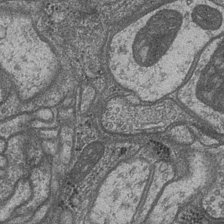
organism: Drosophila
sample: Optic medulla